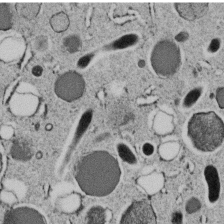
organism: C. elegans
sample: C. elegans embryo early stage